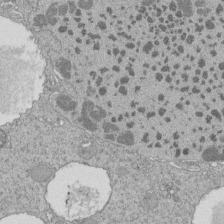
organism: Tetrahymena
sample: Cilia in tetrahymena